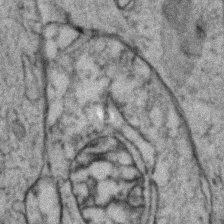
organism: Zebrafish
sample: Zebrafish embryo